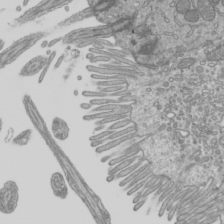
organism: Mouse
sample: Cilia; mouse epididymis